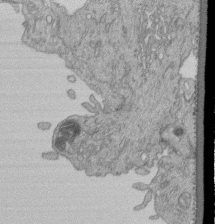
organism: Human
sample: Retinal organoid Rod and Cone cells